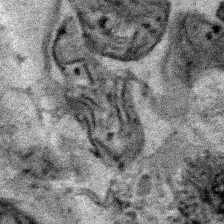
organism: Human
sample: Mitochondria in HCT116 cells